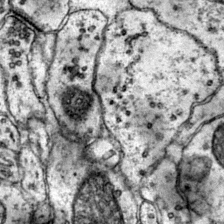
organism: Mouse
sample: Primary visual cortex